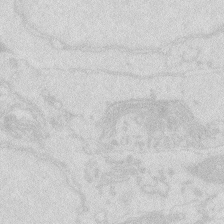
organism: Zebrafish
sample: Macrophage